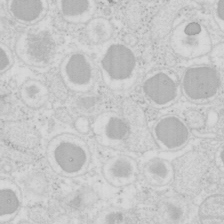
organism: Mouse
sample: Pancreas